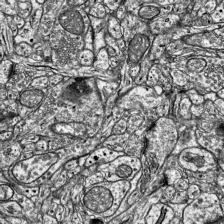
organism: Mouse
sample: Visual Cortex